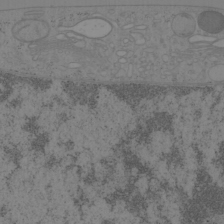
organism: Human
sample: HeLa cells